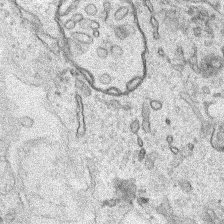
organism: Human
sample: Mitochondria in HCT116 cells